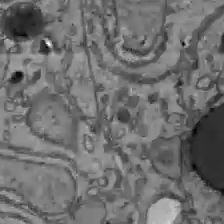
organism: C57BL Mouse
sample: Liver